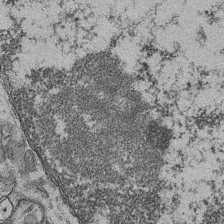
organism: Mouse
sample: CA1 Hippocampus